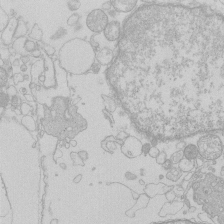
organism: Human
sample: Macrophage cells